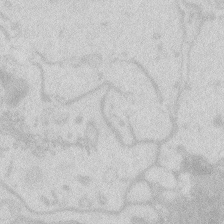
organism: Zebrafish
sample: Macrophage